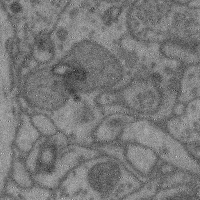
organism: Mouse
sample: Cerebral cortex